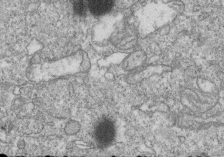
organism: Human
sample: HeLa cell HIV synapse